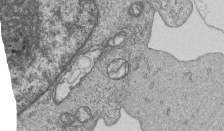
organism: Human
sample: MDA-MB-231 cells